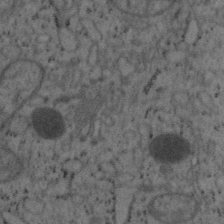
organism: Human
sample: HeLa cells